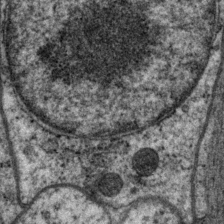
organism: P. pacificus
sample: Pharynx